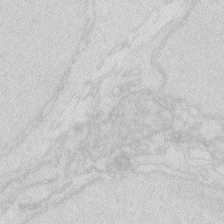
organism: Zebrafish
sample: Macrophage